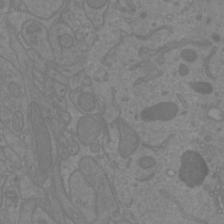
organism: Mouse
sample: Cortical neurons